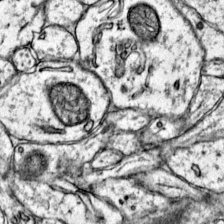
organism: Mouse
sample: Primary visual cortex